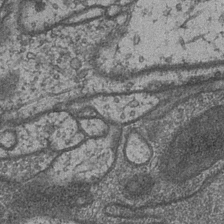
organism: Drosophila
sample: Optic medulla